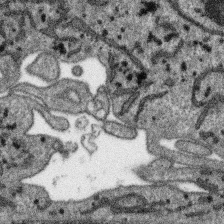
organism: Human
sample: Lung epithelial cells infected with SARS-CoV-2